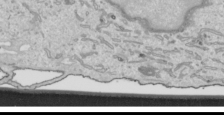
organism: Human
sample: Mitochondria in HCT116 cells